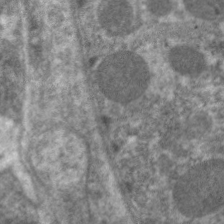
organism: C. elegans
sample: Pharynx